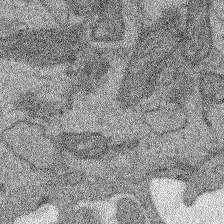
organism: Human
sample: HeLa cells